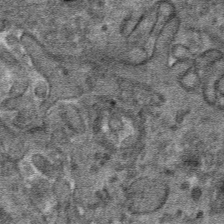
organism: Mouse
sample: Mouse hepatocytes